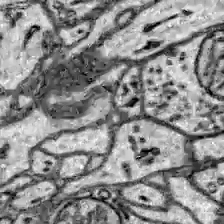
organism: Zebrafish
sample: Brain